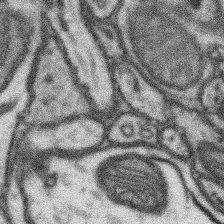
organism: Mouse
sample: Somatosensory cortex neuropil